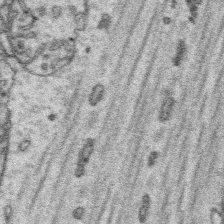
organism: Platynereis dumerilii